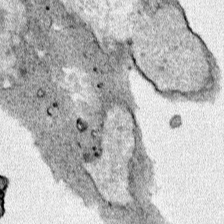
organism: Human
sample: Mitochondria in HCT116 cells